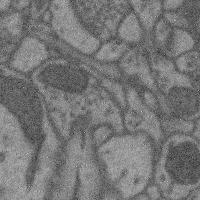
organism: Mouse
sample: Cerebral cortex